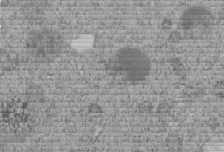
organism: C. elegans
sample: C. elegans embryo early stage